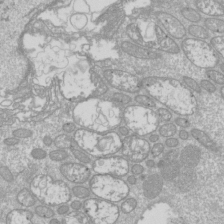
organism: Drosophila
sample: Cell division; meiosis; drosophila spermatocytes